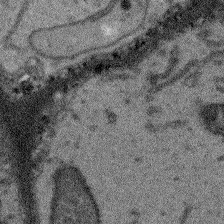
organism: Arabidopsis thaliana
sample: Root tip